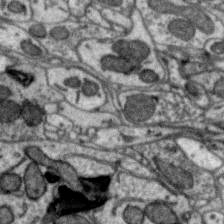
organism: Zebra finch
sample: Brain